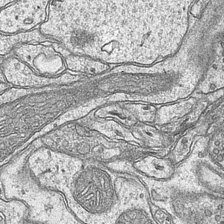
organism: Mouse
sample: CA1 Hippocampus